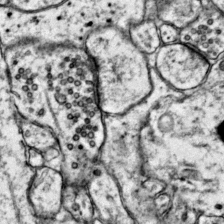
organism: Mouse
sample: Primary visual cortex